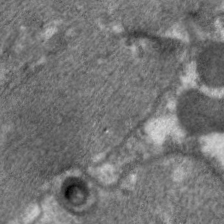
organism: C. elegans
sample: Pharynx